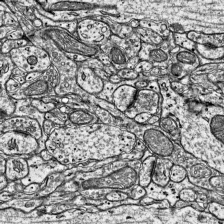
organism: Mouse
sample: Visual Cortex